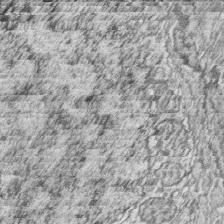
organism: Zebrafish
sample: synaptic ribbons in rod cells and cone cells